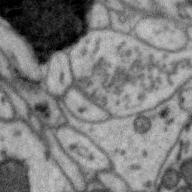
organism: Zebra finch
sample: Brain